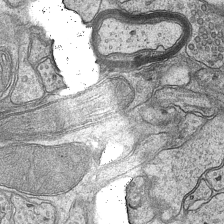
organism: Mouse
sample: CA1 Hippocampus